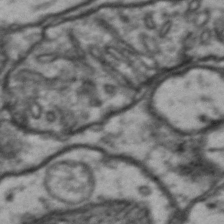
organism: Drosophila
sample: Brain